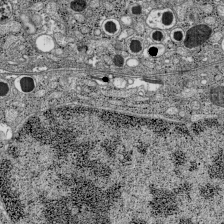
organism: C57BL Mouse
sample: Pancreatic islet